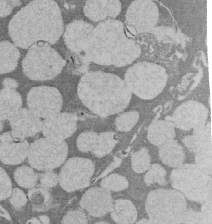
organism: Rat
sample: Salivary granule